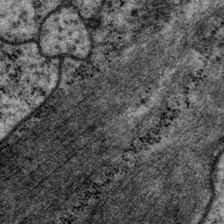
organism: P. pacificus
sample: Pharynx